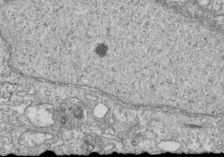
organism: Human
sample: HeLa cell HIV synapse